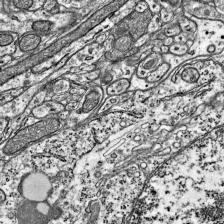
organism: Mouse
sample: Visual Cortex